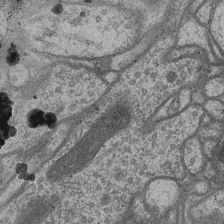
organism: Drosophila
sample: Optic medulla